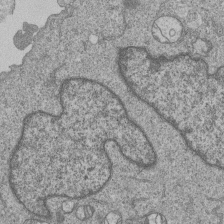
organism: Human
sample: MDA-MB-231 cells